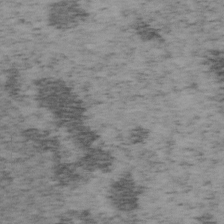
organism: Mouse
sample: OT-I killer T cells with ID8 ovarian cancer cells